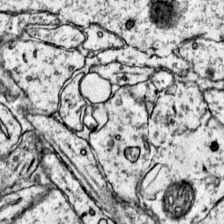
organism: Mouse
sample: Primary visual cortex